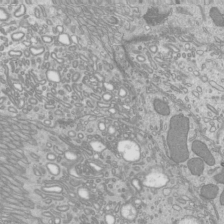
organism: Mouse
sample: Cilia; mouse epididymis